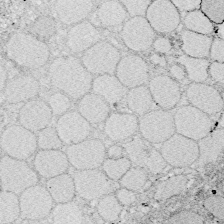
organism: Zebrafish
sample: Whole-Brain